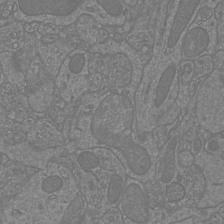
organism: Mouse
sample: Cortical neurons